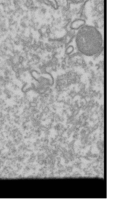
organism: Drosophila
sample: Cell division; meiosis; drosophila spermatocytes